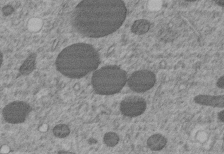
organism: C. elegans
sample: C. elegans embryo early stage